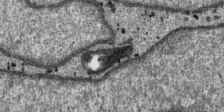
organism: Human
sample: Lung epithelial cells, uninfected (mock) control